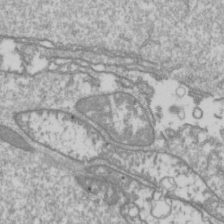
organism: Drosophila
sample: Cell division; meiosis; drosophila spermatocytes